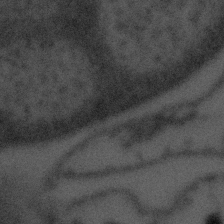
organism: Tuwongella immobilis